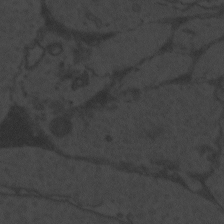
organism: Zebrafish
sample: Macrophage infected with Toxoplasma gondii